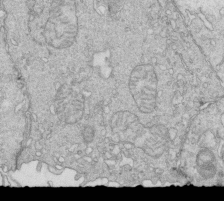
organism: Mouse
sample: Multiciliated cells